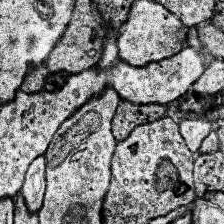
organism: Human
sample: Temporal Lobe